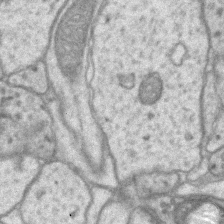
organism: Mouse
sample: CA1 Hippocampus